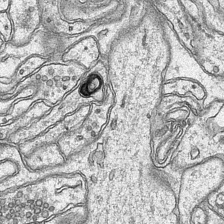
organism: Mouse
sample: CA1 Hippocampus